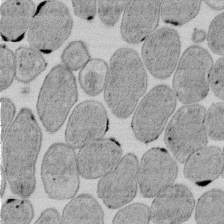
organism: E. coli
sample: Bacterial nucleoid